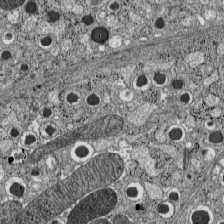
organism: C57BL Mouse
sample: Pancreatic islet